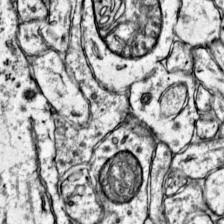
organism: Mouse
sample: Primary visual cortex